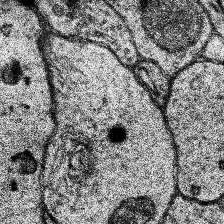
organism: Human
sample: Temporal Lobe